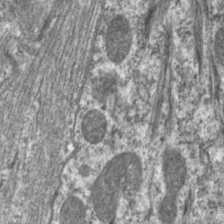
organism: C. elegans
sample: Pharynx